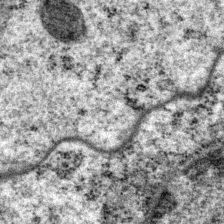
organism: P. pacificus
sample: Pharynx